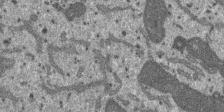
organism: Human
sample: Lung epithelial cells infected with SARS-CoV-2